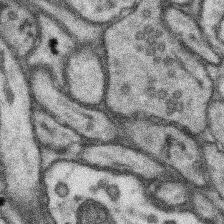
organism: Mouse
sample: Somatosensory cortex neuropil